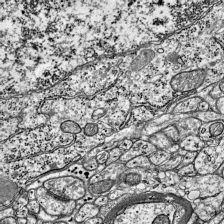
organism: Mouse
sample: Visual Cortex